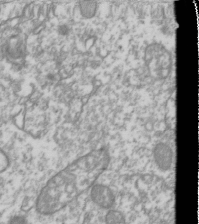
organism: Drosophila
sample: Cell division; meiosis; drosophila spermatocytes